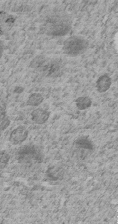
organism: C. elegans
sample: C. elegans embryo early stage